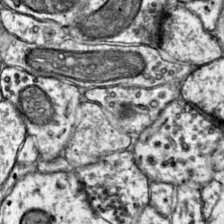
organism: Mouse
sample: Primary visual cortex